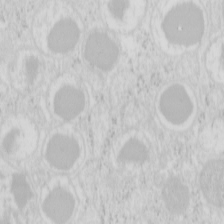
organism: Mouse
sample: Pancreas